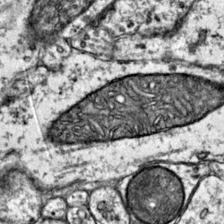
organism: Mouse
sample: Primary visual cortex